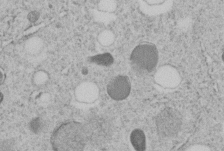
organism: C. elegans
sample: C. elegans embryo early stage